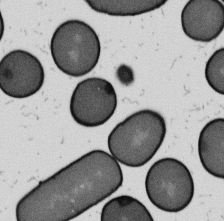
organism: B. subtilis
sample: Bacterial spore